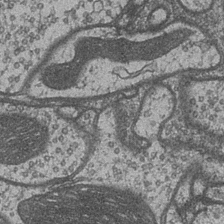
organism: Drosophila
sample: Optic medulla